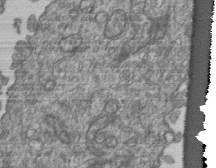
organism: Human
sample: Retinal organoid Rod and Cone cells